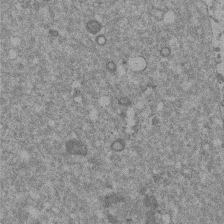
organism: Mouse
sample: Dividing mouse embryo 1 cell stage